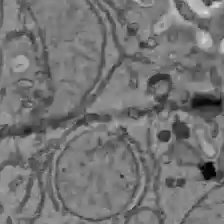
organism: C57BL Mouse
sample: Liver